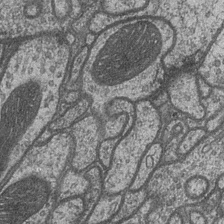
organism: Drosophila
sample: Optic medulla